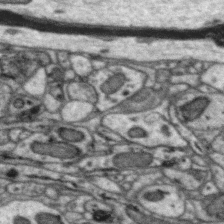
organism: Zebra finch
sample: Brain